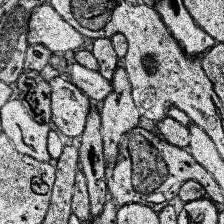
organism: Human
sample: Temporal Lobe